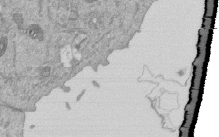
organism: Mouse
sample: ED-1 cell nuclei; centrioles